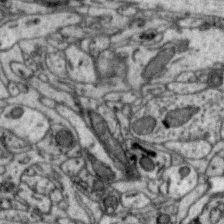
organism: Zebra finch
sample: Brain